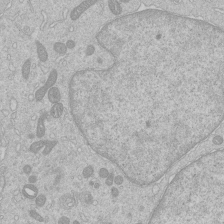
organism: Human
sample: Macrophage cells